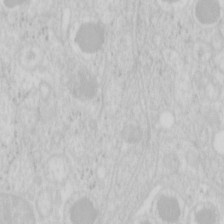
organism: Mouse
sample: Pancreas